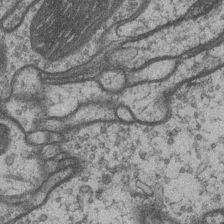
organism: Drosophila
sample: Optic medulla